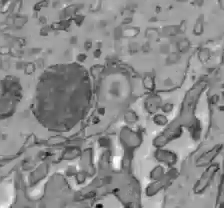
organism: C57BL Mouse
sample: Liver